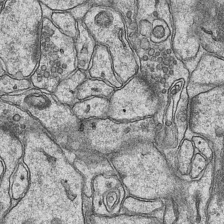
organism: Mouse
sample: CA1 Hippocampus